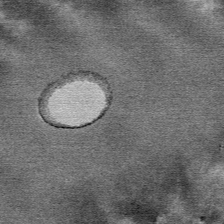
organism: Mouse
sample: Mouse Salivary gland